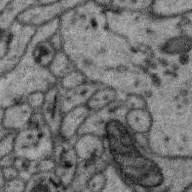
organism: Zebra finch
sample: Brain